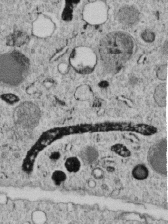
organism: C. elegans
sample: C. elegans embryo early stage